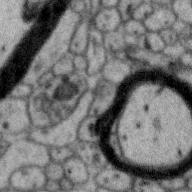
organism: Zebra finch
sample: Brain